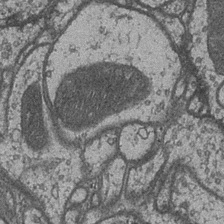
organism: Drosophila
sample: Optic medulla